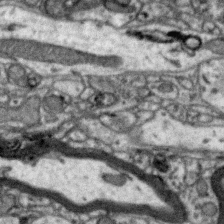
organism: Zebra finch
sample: Brain